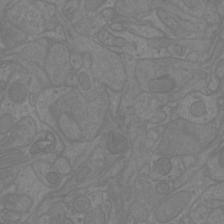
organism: Mouse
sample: Cortical neurons